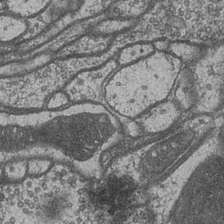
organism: Drosophila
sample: Optic medulla